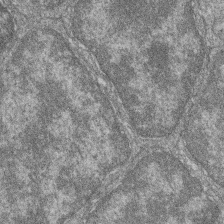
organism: Zebrafish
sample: Cilia; retinal pigment epithelium